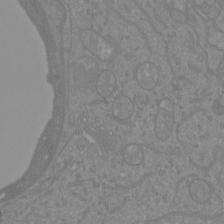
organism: Mouse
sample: Cortical neurons